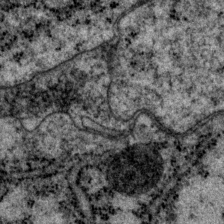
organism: P. pacificus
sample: Pharynx